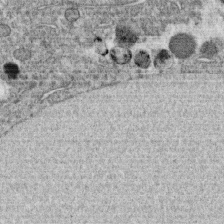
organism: C. elegans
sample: C. elegans oocyte; sperm cells